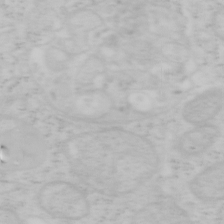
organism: Mouse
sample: OT-I killer T cells with ID8 ovarian cancer cells